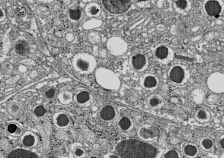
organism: C57BL Mouse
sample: Pancreatic islet